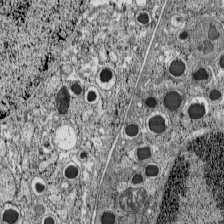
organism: C57BL Mouse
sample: Pancreatic islet